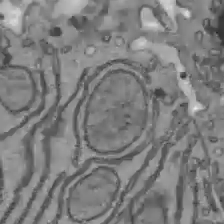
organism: C57BL Mouse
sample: Liver